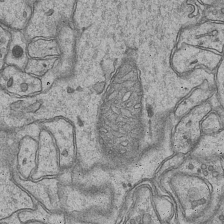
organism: Mouse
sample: CA1 Hippocampus